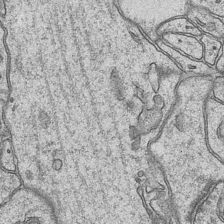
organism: Mouse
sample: CA1 Hippocampus